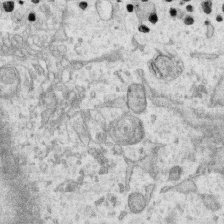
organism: Human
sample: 1205lu cells